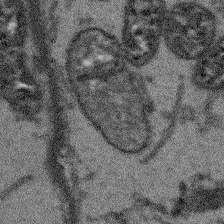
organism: Arabidopsis thaliana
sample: Root tip